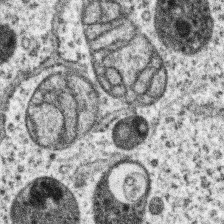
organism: Human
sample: HeLa cells